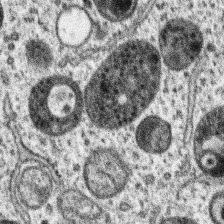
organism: Human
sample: HeLa cells